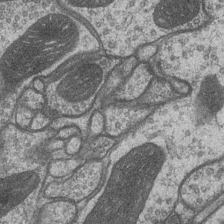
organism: Drosophila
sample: Optic medulla